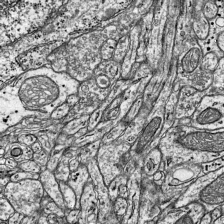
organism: Mouse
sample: Visual Cortex